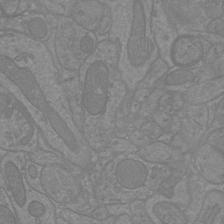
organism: Mouse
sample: Cortical neurons